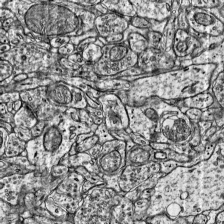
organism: Mouse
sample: Visual Cortex